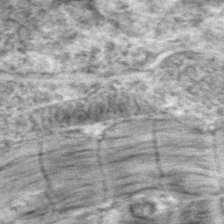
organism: Zebrafish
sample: Zebrafish embryo